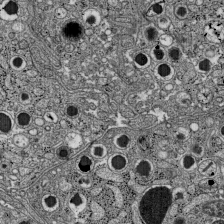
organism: C57BL Mouse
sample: Pancreatic islet